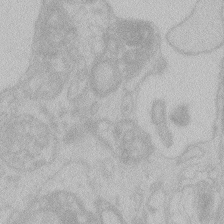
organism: Zebrafish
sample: Macrophage infected with Toxoplasma gondii